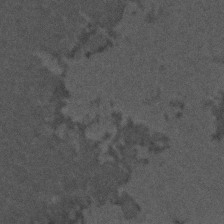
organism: C. elegans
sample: C. elegans embryo